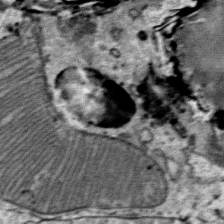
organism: Mouse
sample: Mouse Salivary gland